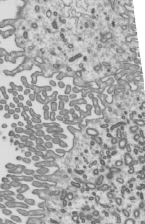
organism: Mouse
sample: Mouse epididymis efferent ductule cilia